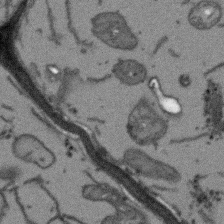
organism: Arabidopsis thaliana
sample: Root tip